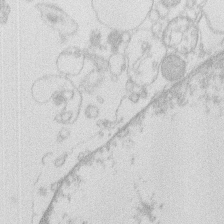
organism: Human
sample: Macrophage cells